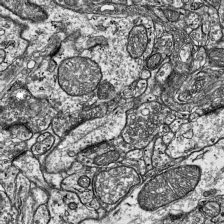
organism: Mouse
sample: Visual Cortex